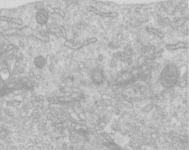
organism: Human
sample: Centriole in RPE cells